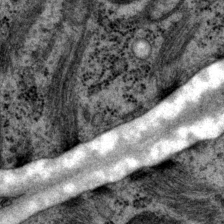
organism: P. pacificus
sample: Pharynx